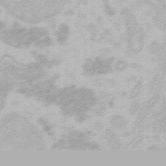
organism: Mouse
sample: Choroid plexus